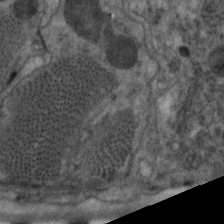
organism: C. elegans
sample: Pharynx